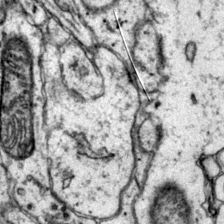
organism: Mouse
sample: Primary visual cortex